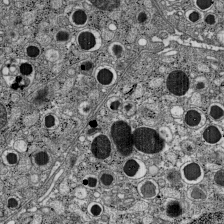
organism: C57BL Mouse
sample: Pancreatic islet